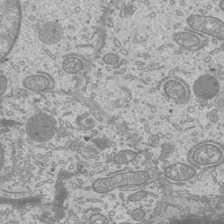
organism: Mouse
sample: Cilia; mouse epididymis